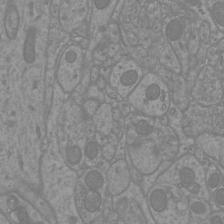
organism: Mouse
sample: Cortical neurons